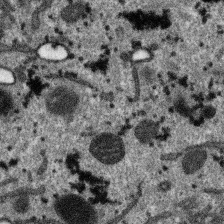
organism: Human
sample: Lung epithelial cells infected with SARS-CoV-2